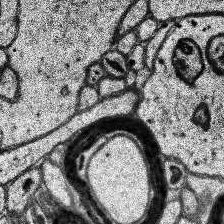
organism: Human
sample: Temporal Lobe